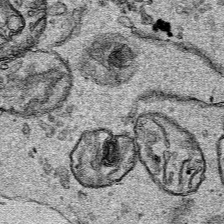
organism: Human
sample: Mitochondria in HCT116 cells